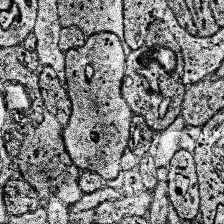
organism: Human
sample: Temporal Lobe